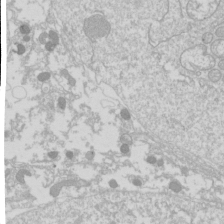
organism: Drosophila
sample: Cell division; meiosis; drosophila spermatocytes